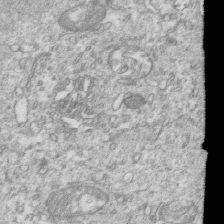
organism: Mouse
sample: Activated OT-1 CD8+ T cells